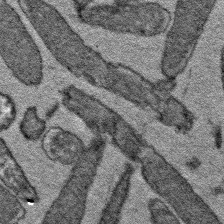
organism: E. coli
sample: E. Coli Bacteria